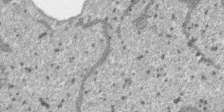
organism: Human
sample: Lung epithelial cells infected with SARS-CoV-2